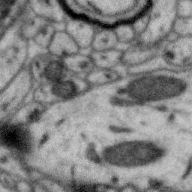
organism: Zebra finch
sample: Brain